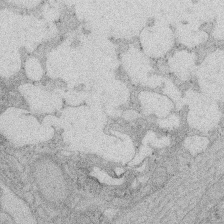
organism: Rat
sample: Salivary granule